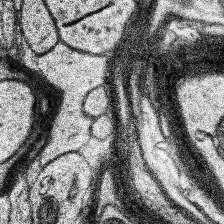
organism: Human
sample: Temporal Lobe